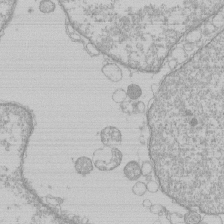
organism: Human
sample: Macrophage cells